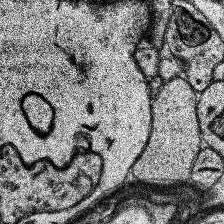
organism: Human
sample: Temporal Lobe